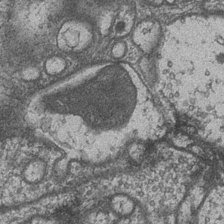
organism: Drosophila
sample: Optic medulla